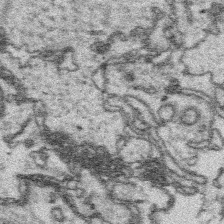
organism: Platynereis dumerilii